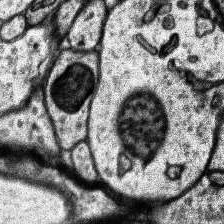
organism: Human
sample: Temporal Lobe